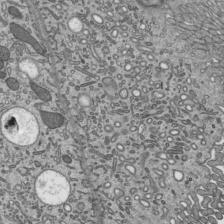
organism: Mouse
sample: Mouse epididymis efferent ductule cilia